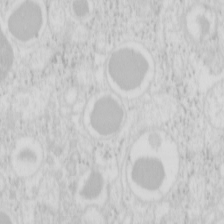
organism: Mouse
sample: Pancreas